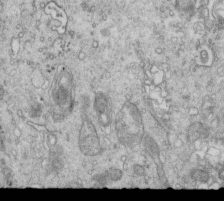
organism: Mouse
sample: Multiciliated cells